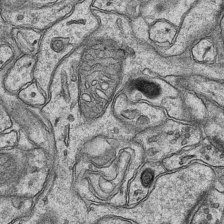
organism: Mouse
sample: CA1 Hippocampus